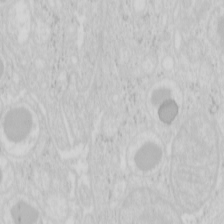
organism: Mouse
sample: Pancreas